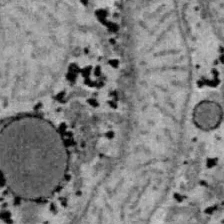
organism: Mouse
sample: Liver from an obese (ob/ob) mouse